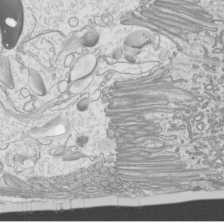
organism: Mouse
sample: Cilia; mouse epididymis